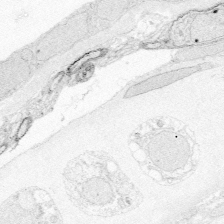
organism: Zebrafish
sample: Whole-Brain